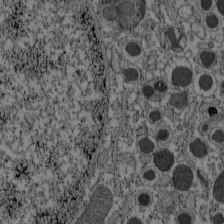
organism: C57BL Mouse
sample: Pancreatic islet